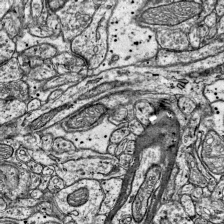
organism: Mouse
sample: Visual Cortex